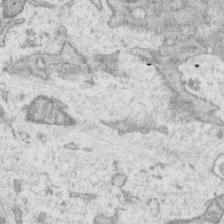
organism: Human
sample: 1205lu cells